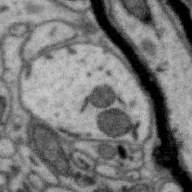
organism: Zebra finch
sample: Brain